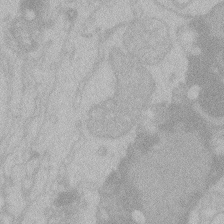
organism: Zebrafish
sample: Macrophage infected with Toxoplasma gondii